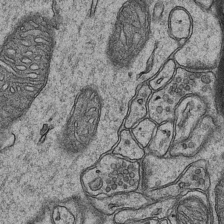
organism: Mouse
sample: CA1 Hippocampus